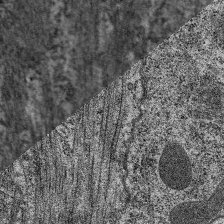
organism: C. elegans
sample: Pharynx